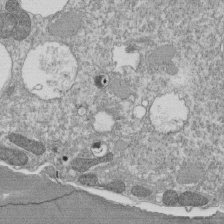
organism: Tetrahymena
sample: Cilia in tetrahymena